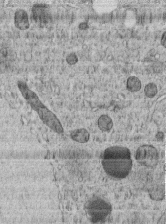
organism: C. elegans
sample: C. elegans embryo early stage